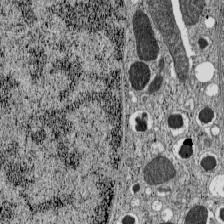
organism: C57BL Mouse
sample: Pancreatic islet